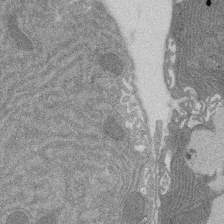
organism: Rat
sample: Salivary granule